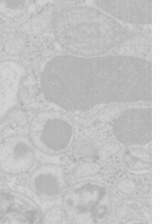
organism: Mouse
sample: Pancreas